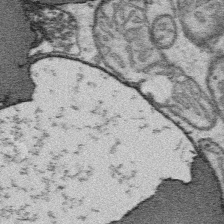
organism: Platynereis dumerilii